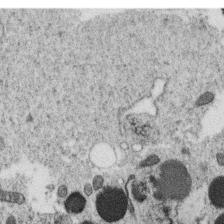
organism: C. elegans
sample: C. elegans oocyte; sperm cells